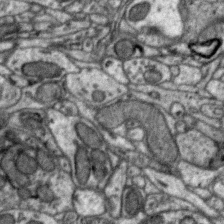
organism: Zebra finch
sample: Brain